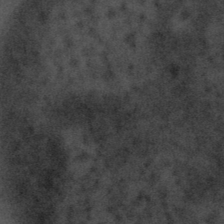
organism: Tuwongella immobilis